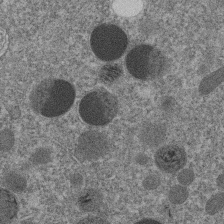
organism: C. elegans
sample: C. elegans embryo early stage